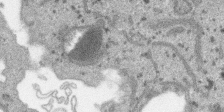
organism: Human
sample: Lung epithelial cells infected with SARS-CoV-2